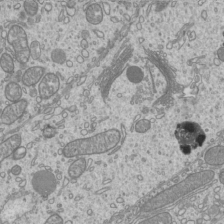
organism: Mouse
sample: Cilia; mouse epididymis